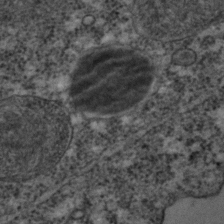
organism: C. elegans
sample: C. elegans embryo